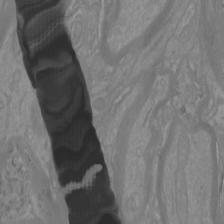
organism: Mouse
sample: Cortical neurons